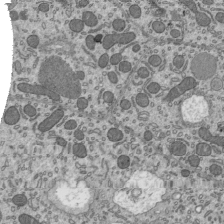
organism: Mouse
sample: Mouse epididymis efferent ductule cilia